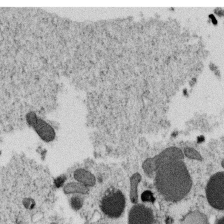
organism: C. elegans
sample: C. elegans oocyte; sperm cells